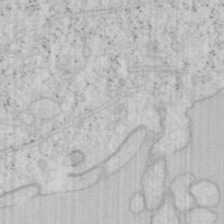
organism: Human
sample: HeLa cells